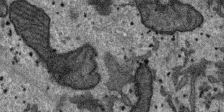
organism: Human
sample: Lung epithelial cells, uninfected (mock) control